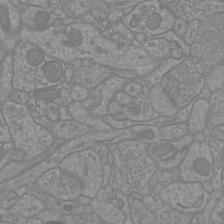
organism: Mouse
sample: Cortical neurons